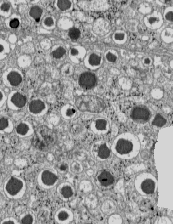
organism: C57BL Mouse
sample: Pancreatic islet